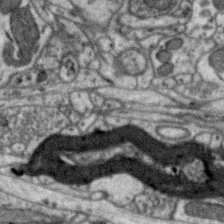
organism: Zebra finch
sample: Brain